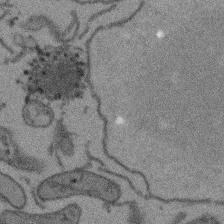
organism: Arabidopsis thaliana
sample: Root tip